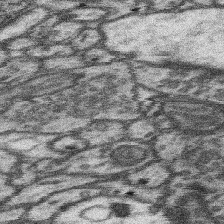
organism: Mouse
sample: Somatosensory cortex neuropil